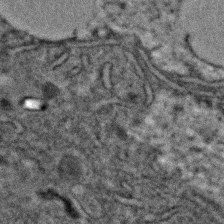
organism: C. elegans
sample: C. elegans embryo